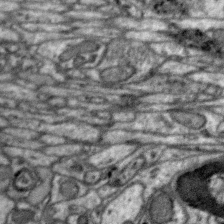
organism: Zebra finch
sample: Brain